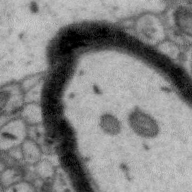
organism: Zebra finch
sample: Brain